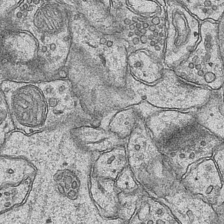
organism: Mouse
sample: CA1 Hippocampus